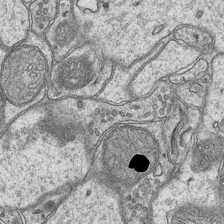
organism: Mouse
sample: CA1 Hippocampus